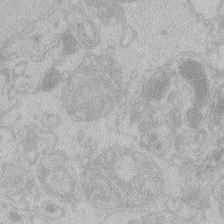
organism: Zebrafish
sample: Macrophage infected with Toxoplasma gondii